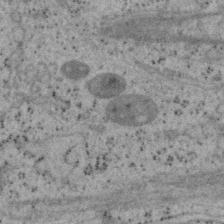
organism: Human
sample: HeLa cells